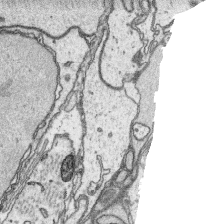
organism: Platynereis dumerilii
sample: Parapodia